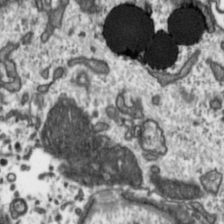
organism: Toxoplasma gondii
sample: Parasites in a vacuole inside a host cell